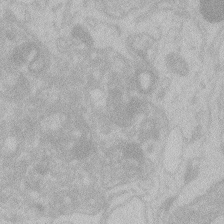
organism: Zebrafish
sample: Macrophage infected with Toxoplasma gondii